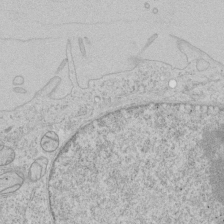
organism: Human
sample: Mitochondria in HCT116 cells